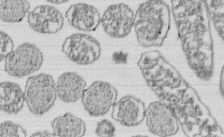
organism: E. coli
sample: Bacterial nucleoid